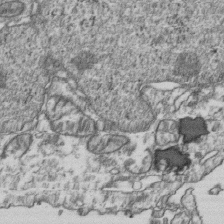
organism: Human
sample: Activated Jurkat CD4+ T cells